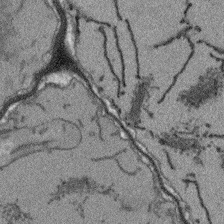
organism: Arabidopsis thaliana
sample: Root tip